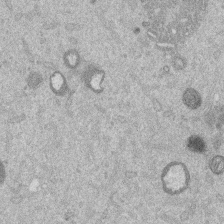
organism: Mouse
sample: Dividing mouse embryo 1 cell stage